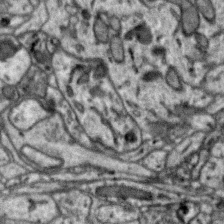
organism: Zebra finch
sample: Brain